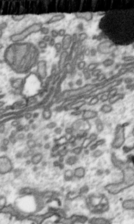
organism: Toxoplasma gondii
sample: Parasites in a vacuole inside a host cell